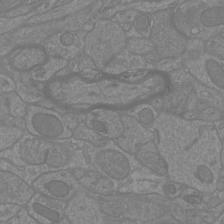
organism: Mouse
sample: Cortical neurons